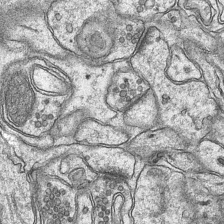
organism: Mouse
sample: CA1 Hippocampus